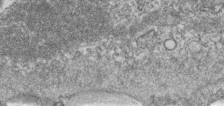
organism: Zebrafish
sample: Cilia; retinal pigment epithelium